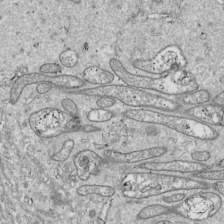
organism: Drosophila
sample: Cell division; meiosis; drosophila spermatocytes